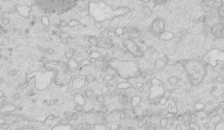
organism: Mouse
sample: Multiciliated cells